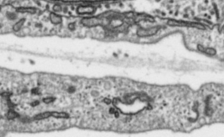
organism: Toxoplasma gondii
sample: Parasites in a vacuole inside a host cell